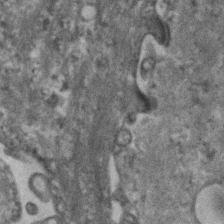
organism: Human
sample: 1205lu cells